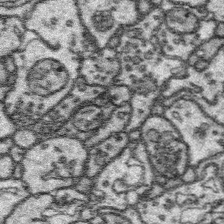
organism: Platynereis dumerilii